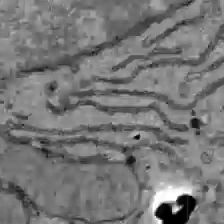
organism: C57BL Mouse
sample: Liver